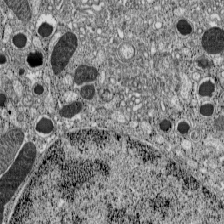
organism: C57BL Mouse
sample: Pancreatic islet